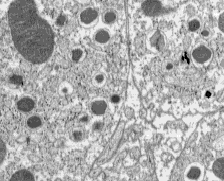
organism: C57BL Mouse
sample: Pancreatic islet